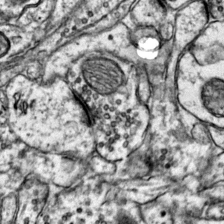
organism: Mouse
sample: Primary visual cortex